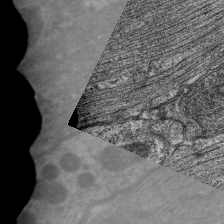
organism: C. elegans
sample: Pharynx